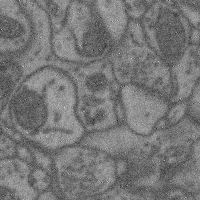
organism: Mouse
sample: Cerebral cortex